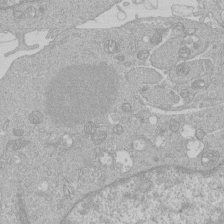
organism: Human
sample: Macrophage cells